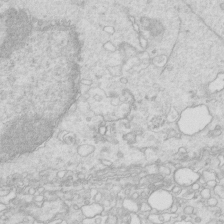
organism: Mouse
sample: Multiciliated cells